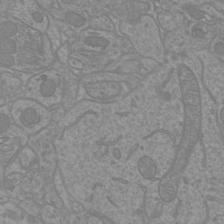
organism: Mouse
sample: Cortical neurons